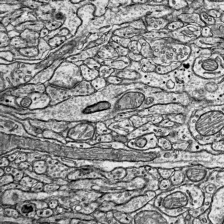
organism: Mouse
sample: Visual Cortex